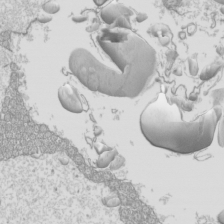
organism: Mouse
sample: Cilia; mouse epididymis